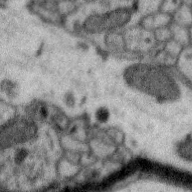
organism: Zebra finch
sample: Brain